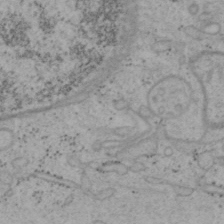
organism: Human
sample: HeLa cells